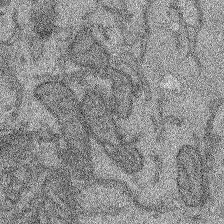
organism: Human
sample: HeLa cells